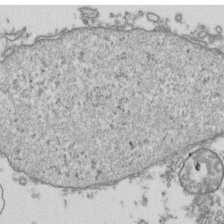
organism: Human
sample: Activated Jurkat CD4+ T cells